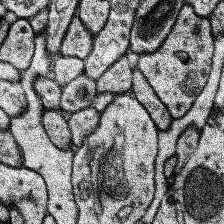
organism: Human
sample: Temporal Lobe